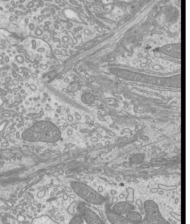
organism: Mouse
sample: Cilia; mouse epididymis